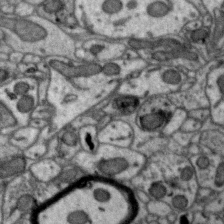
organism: Zebra finch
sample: Brain